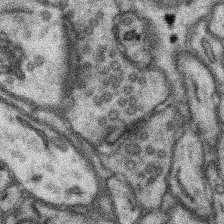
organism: Mouse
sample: Somatosensory cortex neuropil